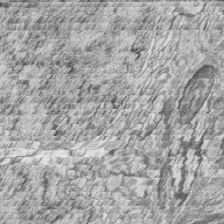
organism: Zebrafish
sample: synaptic ribbons in rod cells and cone cells